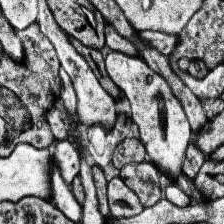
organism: Human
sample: Temporal Lobe